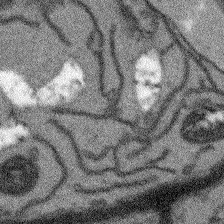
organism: Arabidopsis thaliana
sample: Root tip